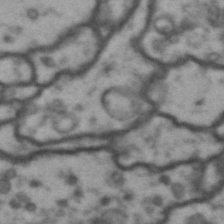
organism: Drosophila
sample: Brain